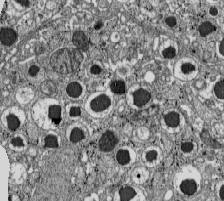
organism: C57BL Mouse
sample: Pancreatic islet